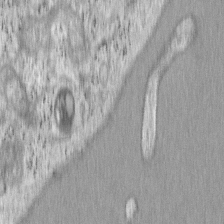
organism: Human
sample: HeLa cells